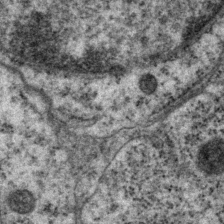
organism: P. pacificus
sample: Pharynx